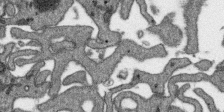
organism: Human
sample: Lung epithelial cells, uninfected (mock) control